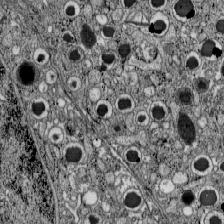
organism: C57BL Mouse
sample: Pancreatic islet